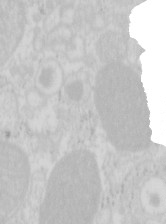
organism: Mouse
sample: Pancreas